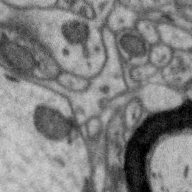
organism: Zebra finch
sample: Brain